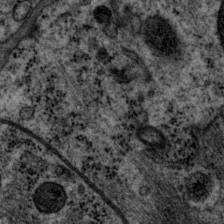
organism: P. pacificus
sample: Pharynx